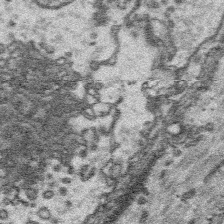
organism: Platynereis dumerilii